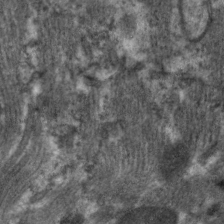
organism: C. elegans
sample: Pharynx